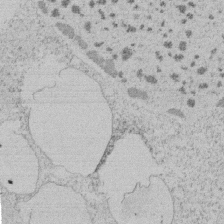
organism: Tetrahymena